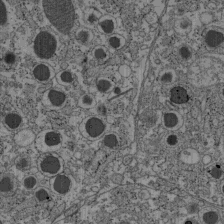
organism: C57BL Mouse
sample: Pancreatic islet